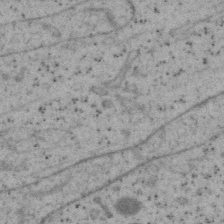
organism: Human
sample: HeLa cells